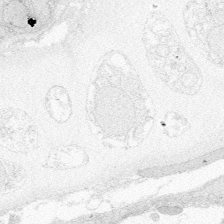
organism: Zebrafish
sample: Whole-Brain